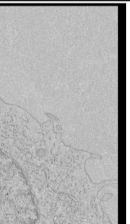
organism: Human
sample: Mitochondria in HCT116 cells